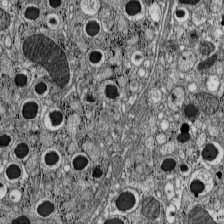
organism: C57BL Mouse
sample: Pancreatic islet